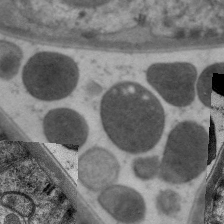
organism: C. elegans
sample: Pharynx